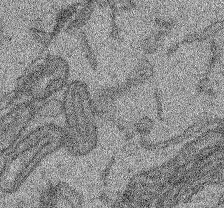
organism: Human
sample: HeLa cells